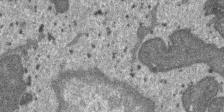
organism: Human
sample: Lung epithelial cells infected with SARS-CoV-2